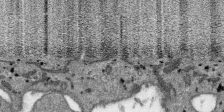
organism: Human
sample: Lung epithelial cells, uninfected (mock) control